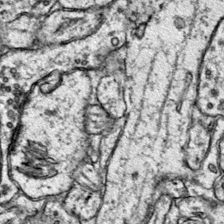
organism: Mouse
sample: Primary visual cortex